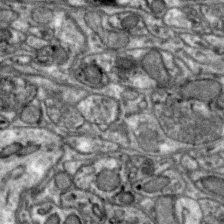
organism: Zebra finch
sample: Brain